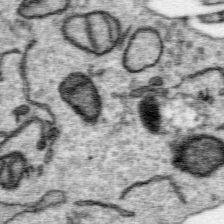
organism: Human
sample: HeLa cells